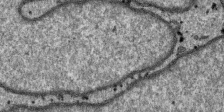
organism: Human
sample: Lung epithelial cells, uninfected (mock) control